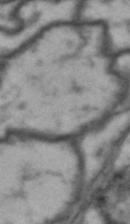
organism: Drosophila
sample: Brain